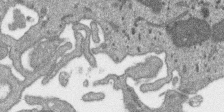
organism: Human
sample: Lung epithelial cells infected with SARS-CoV-2